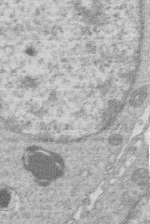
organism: Human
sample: Macrophage cells